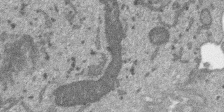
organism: Human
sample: Lung epithelial cells infected with SARS-CoV-2